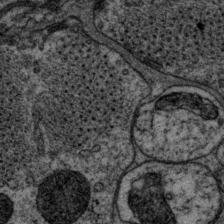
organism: P. pacificus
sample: Pharynx